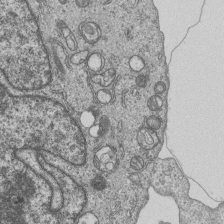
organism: Human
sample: MDA-MB-231 cells